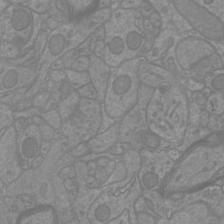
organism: Mouse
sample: Cortical neurons